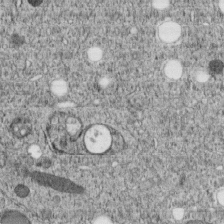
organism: C. elegans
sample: C. elegans embryo early stage